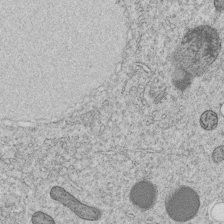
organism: C. elegans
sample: C. elegans embryo early stage